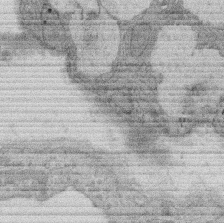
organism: Rat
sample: Salivary granule